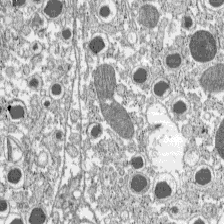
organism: C57BL Mouse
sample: Pancreatic islet